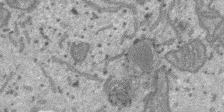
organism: Human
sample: Lung epithelial cells infected with SARS-CoV-2